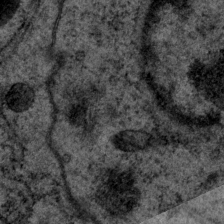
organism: P. pacificus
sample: Pharynx